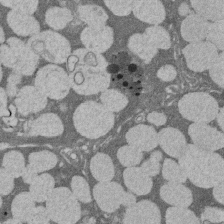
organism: Rat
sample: Salivary granule